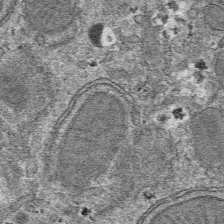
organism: Mouse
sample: Mouse hepatocytes